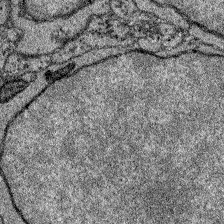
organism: Zebrafish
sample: Larval olfactory bulb